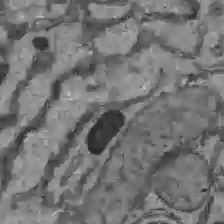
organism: C57BL Mouse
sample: Liver